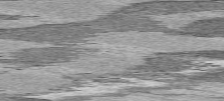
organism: C57BL Mouse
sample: Heart